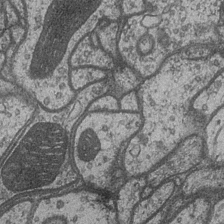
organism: Drosophila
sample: Optic medulla